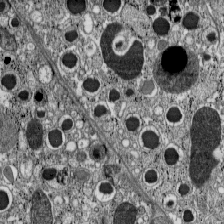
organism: C57BL Mouse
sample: Pancreatic islet